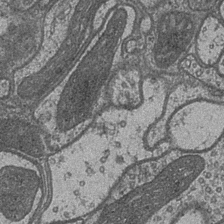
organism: Drosophila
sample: Optic medulla